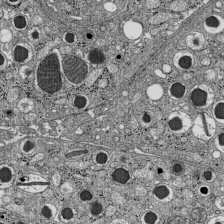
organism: C57BL Mouse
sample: Pancreatic islet